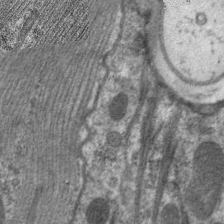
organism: C. elegans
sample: Pharynx